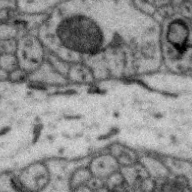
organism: Zebra finch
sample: Brain